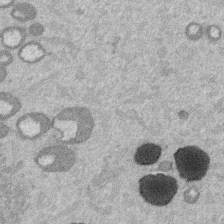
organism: Mouse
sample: Dividing mouse embryo 1 cell stage